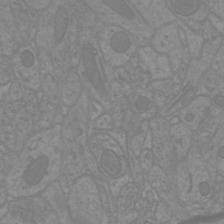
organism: Mouse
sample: Cortical neurons